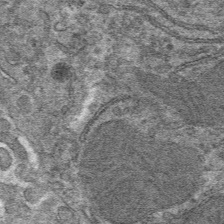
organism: Mouse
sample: Mouse hepatocytes